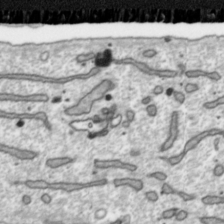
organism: Toxoplasma gondii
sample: Parasites in a vacuole inside a host cell